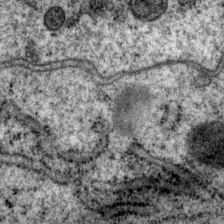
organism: P. pacificus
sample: Pharynx